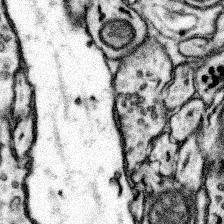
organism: Mouse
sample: Somatosensory cortex neuropil